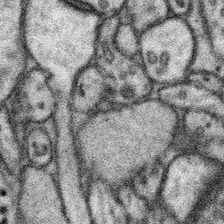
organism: Mouse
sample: Somatosensory cortex neuropil